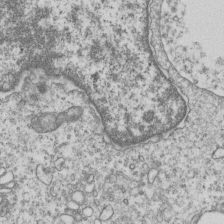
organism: Human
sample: MDA-MB-231 cells